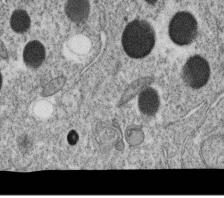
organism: C. elegans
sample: C. elegans oocyte; sperm cells